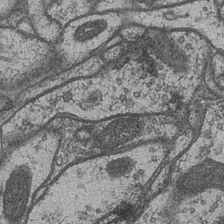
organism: Drosophila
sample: Optic medulla